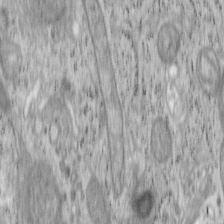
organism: Human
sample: HeLa cells